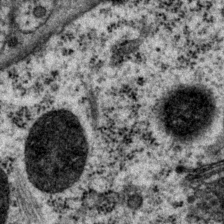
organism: P. pacificus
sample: Pharynx